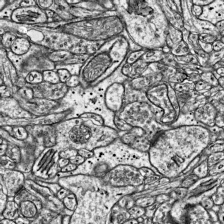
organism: Mouse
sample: Visual Cortex